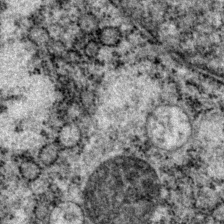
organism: P. pacificus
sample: Pharynx